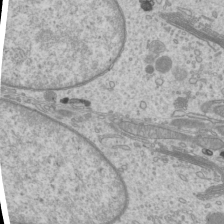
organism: Mouse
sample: Cilia; mouse epididymis